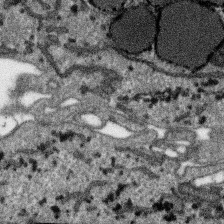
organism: Human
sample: Lung epithelial cells infected with SARS-CoV-2